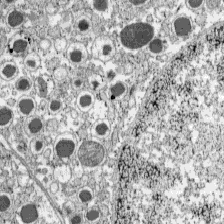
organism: C57BL Mouse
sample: Pancreatic islet